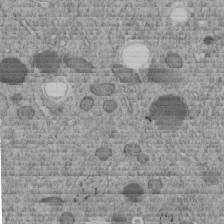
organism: C. elegans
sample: C. elegans embryo early stage